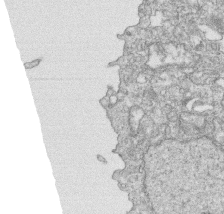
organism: Human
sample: HeLa cell HIV synapse